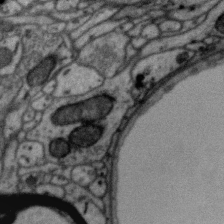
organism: Zebra finch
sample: Brain